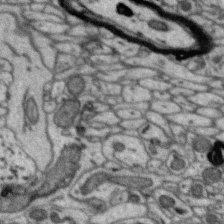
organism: Zebra finch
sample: Brain